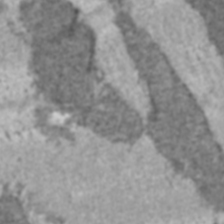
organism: C57BL Mouse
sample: Heart